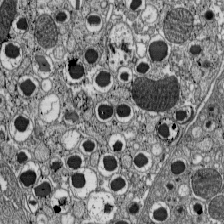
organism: C57BL Mouse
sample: Pancreatic islet